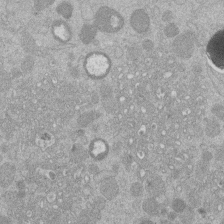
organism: Mouse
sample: Dividing mouse embryo 1 cell stage